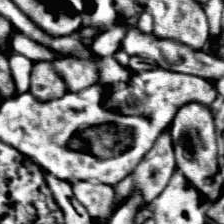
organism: Human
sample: Temporal Lobe